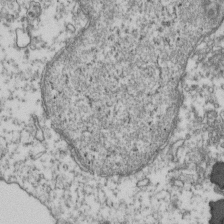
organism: Human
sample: Activated Jurkat CD4+ T cells